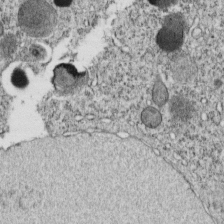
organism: C. elegans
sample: C. elegans embryo early stage